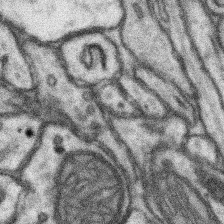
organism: Mouse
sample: Somatosensory cortex neuropil